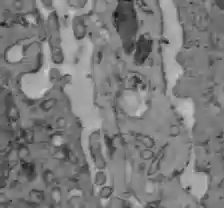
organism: C57BL Mouse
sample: Liver